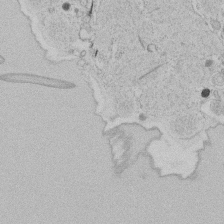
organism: Tetrahymena